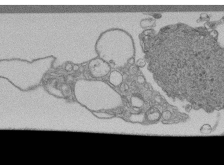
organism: Human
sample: Retinal organoid Rod and Cone cells